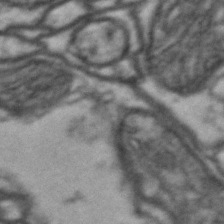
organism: Drosophila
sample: Brain